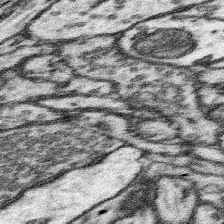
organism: Mouse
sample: Somatosensory cortex neuropil